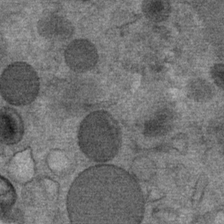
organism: Mouse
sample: Mouse Salivary gland